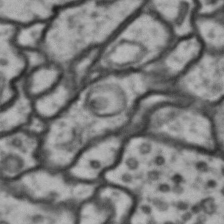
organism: Drosophila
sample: Brain